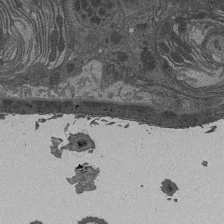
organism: Drosophila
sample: Antenna